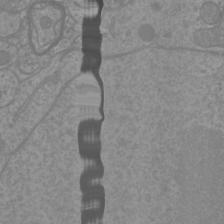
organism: Mouse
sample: Cortical neurons